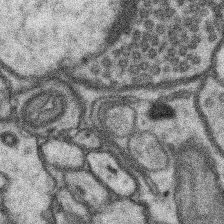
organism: Mouse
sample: Somatosensory cortex neuropil